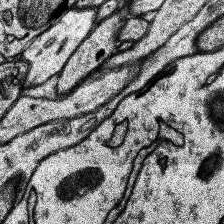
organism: Human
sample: Temporal Lobe